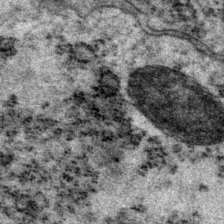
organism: P. pacificus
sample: Pharynx